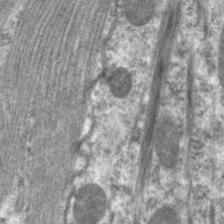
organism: C. elegans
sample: Pharynx